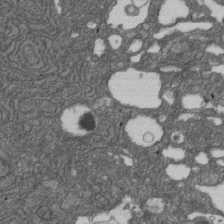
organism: Drosophila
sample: Nephrocyte